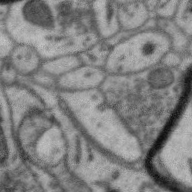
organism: Zebra finch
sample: Brain